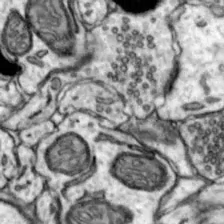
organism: Mouse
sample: Nucleus accumbens